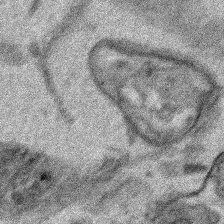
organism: Human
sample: Mitochondria in HCT116 cells